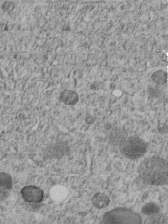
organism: C. elegans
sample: C. elegans embryo early stage